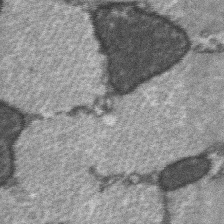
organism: C57BL Mouse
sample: Soleus